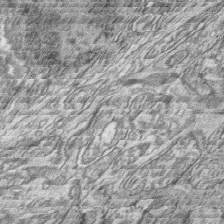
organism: Zebrafish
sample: synaptic ribbons in rod cells and cone cells